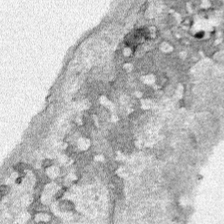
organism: Human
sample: Mitochondria in HCT116 cells